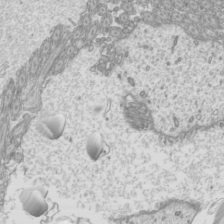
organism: Mouse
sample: Cilia; mouse epididymis